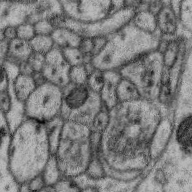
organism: Zebra finch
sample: Brain